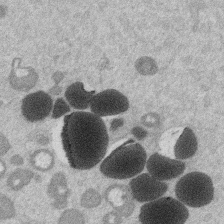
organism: Mouse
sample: Dividing mouse embryo 1 cell stage